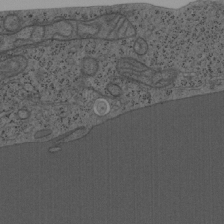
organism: Human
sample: HeLa cells